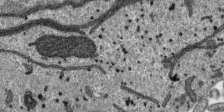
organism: Human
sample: Lung epithelial cells, uninfected (mock) control